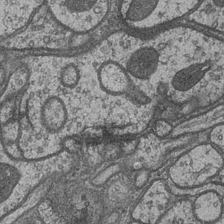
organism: Drosophila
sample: Optic medulla